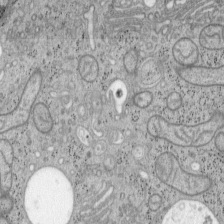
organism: Mouse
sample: OT-I killer T cells with ID8 ovarian cancer cells